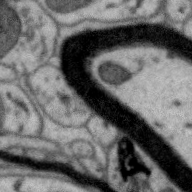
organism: Zebra finch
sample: Brain